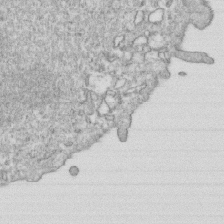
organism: Mouse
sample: Activated OT-1 CD8+ T cells